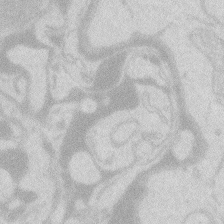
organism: Zebrafish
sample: Macrophage